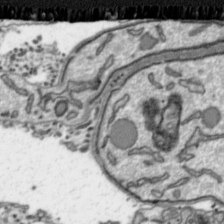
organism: Toxoplasma gondii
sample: Parasites in a vacuole inside a host cell